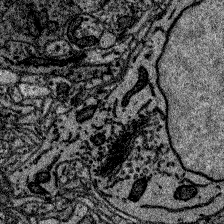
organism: Zebrafish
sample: Larval olfactory bulb